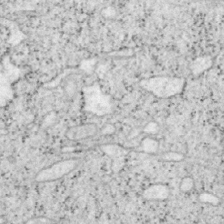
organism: Mouse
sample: OT-I killer T cells with ID8 ovarian cancer cells